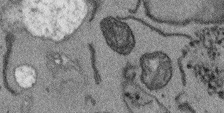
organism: Arabidopsis thaliana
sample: Root tip